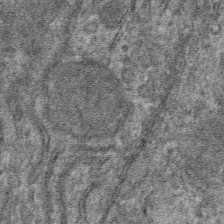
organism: Mouse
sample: Mouse hepatocytes